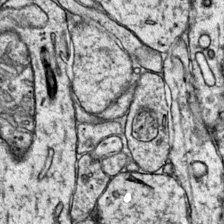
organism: Mouse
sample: Primary visual cortex